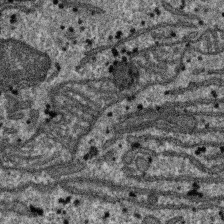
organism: Human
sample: Lung epithelial cells infected with SARS-CoV-2